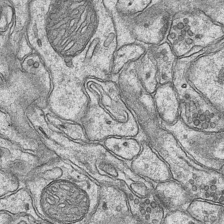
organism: Mouse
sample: CA1 Hippocampus